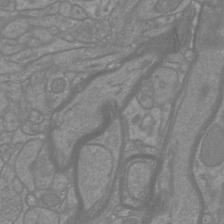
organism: Mouse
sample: Cortical neurons